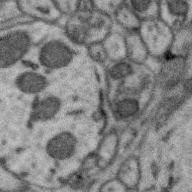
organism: Zebra finch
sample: Brain